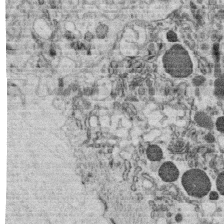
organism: C. elegans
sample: C. elegans oocyte; sperm cells